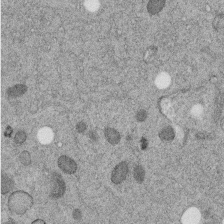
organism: C. elegans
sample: C. elegans embryo early stage